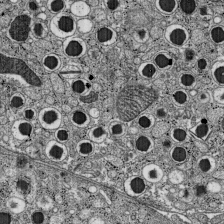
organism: C57BL Mouse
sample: Pancreatic islet